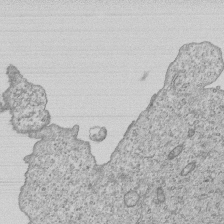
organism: Human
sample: MDA-MB-231 cells